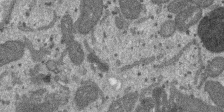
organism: Human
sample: Lung epithelial cells infected with SARS-CoV-2